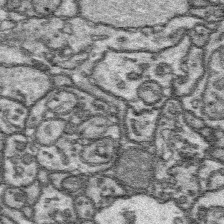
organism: Platynereis dumerilii